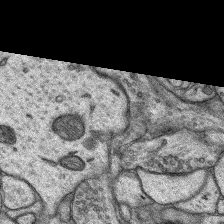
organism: Rat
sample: Hippocampus